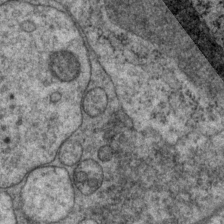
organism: P. pacificus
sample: Pharynx